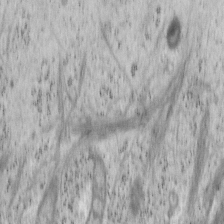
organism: Human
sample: HeLa cells